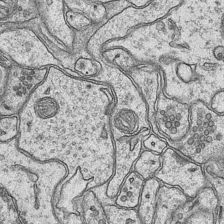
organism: Mouse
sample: CA1 Hippocampus